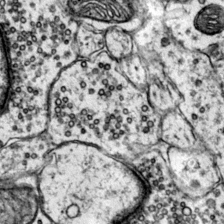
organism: Mouse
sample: Primary visual cortex